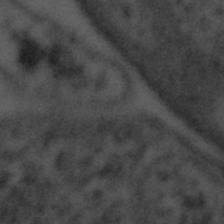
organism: Tuwongella immobilis